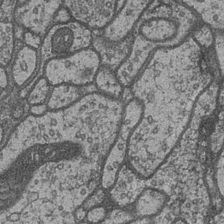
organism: Drosophila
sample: Optic medulla